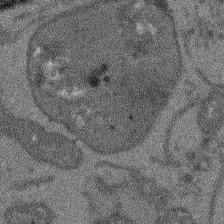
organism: Arabidopsis thaliana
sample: Root tip